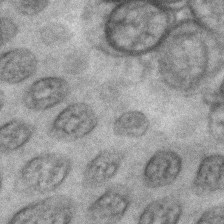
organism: C. elegans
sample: C. elegans embryo